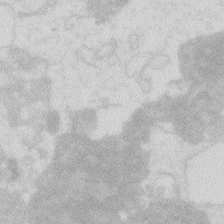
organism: Zebrafish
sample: Macrophage